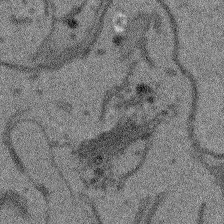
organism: Arabidopsis thaliana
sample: Root tip